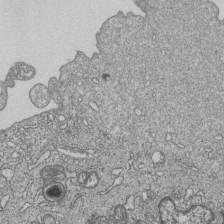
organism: Human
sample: MDA-MB-231 cells